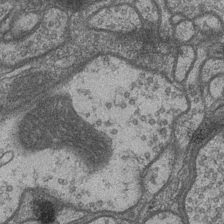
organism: Drosophila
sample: Optic medulla